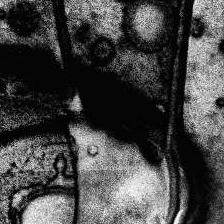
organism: Human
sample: Temporal Lobe